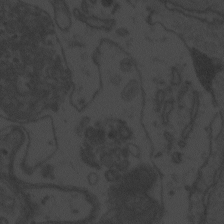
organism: Zebrafish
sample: Macrophage infected with Toxoplasma gondii